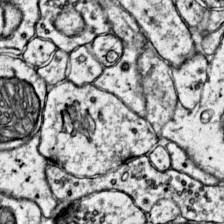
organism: Mouse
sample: Primary visual cortex